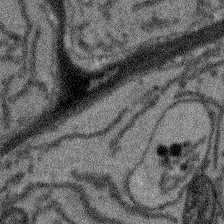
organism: Arabidopsis thaliana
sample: Root tip